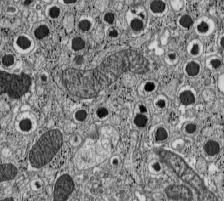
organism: C57BL Mouse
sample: Pancreatic islet